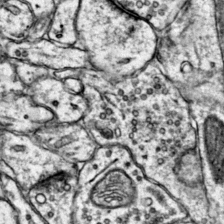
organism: Mouse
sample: Primary visual cortex